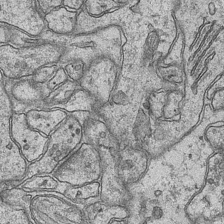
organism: Mouse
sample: CA1 Hippocampus